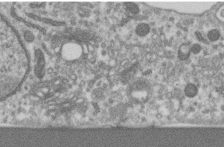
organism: Human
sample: Centriole in RPE cells